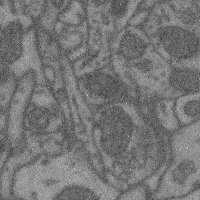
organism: Mouse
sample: Cerebral cortex